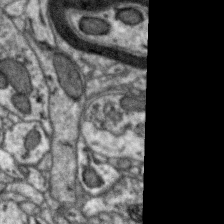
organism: Zebra finch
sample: Brain